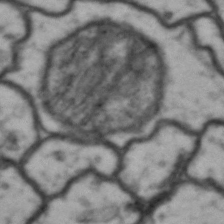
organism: Drosophila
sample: Brain